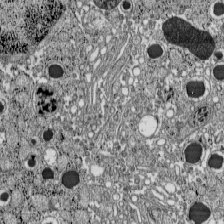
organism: C57BL Mouse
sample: Pancreatic islet